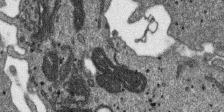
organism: Human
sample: Lung epithelial cells infected with SARS-CoV-2